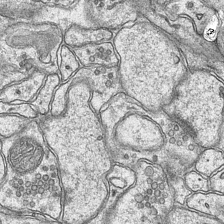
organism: Mouse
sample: CA1 Hippocampus